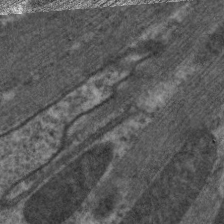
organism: C. elegans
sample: Pharynx